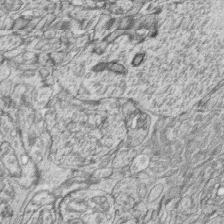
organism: Zebrafish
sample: synaptic ribbons in rod cells and cone cells